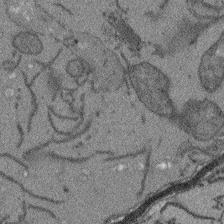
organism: Arabidopsis thaliana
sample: Root tip